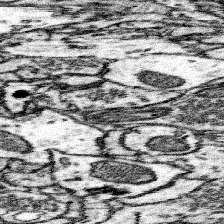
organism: Mouse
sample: Somatosensory cortex neuropil